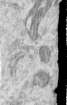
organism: Human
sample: Centriole in RPE cells